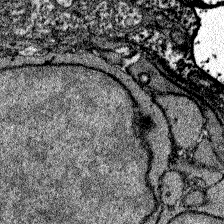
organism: Zebrafish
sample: Larval olfactory bulb